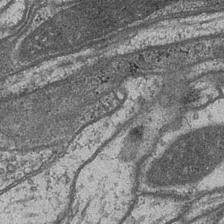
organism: Drosophila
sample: Optic medulla